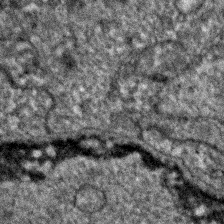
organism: Zebrafish